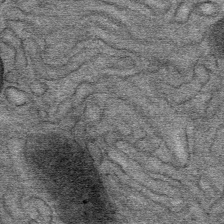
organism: Mouse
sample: Mouse Salivary gland